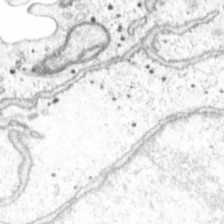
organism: Human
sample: HeLa cells